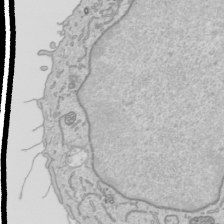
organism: Human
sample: Mitochondria in HCT116 cells